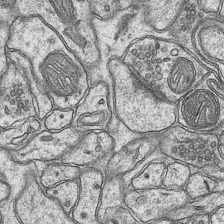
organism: Mouse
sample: CA1 Hippocampus